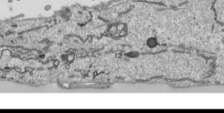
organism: Human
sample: Mitochondria in HCT116 cells